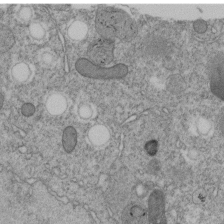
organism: C. elegans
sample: C. elegans embryo early stage